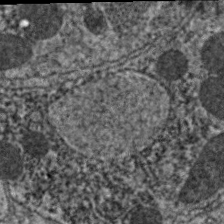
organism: C. elegans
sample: Pharynx